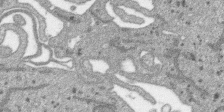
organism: Human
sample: Lung epithelial cells infected with SARS-CoV-2